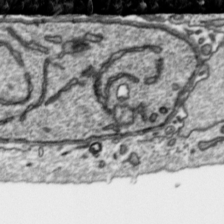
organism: Toxoplasma gondii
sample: Parasites in a vacuole inside a host cell